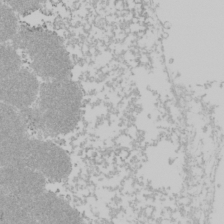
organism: Mouse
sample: Cancer cell death in ED-1 cells